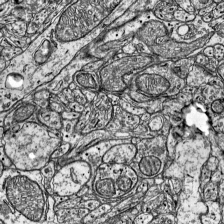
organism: Mouse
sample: Visual Cortex